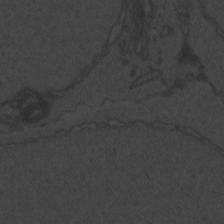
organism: Zebrafish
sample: Macrophage infected with Toxoplasma gondii